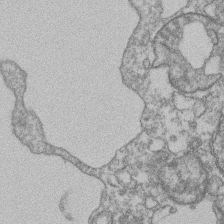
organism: Mouse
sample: T cell stromal cell synapse